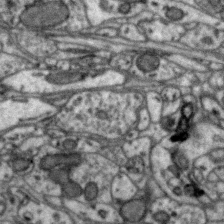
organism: Zebra finch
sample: Brain